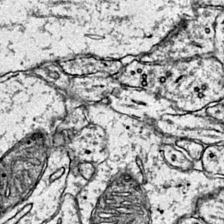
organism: Mouse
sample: Primary visual cortex